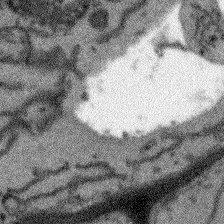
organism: Arabidopsis thaliana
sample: Root tip